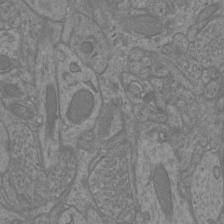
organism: Mouse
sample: Cortical neurons